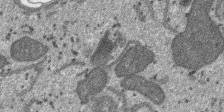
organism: Human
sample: Lung epithelial cells infected with SARS-CoV-2